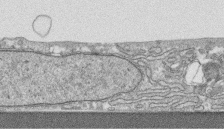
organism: Human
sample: CRL-1474